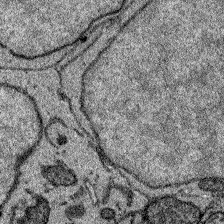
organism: Zebrafish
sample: Larval olfactory bulb